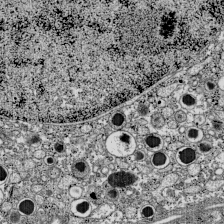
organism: C57BL Mouse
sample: Pancreatic islet